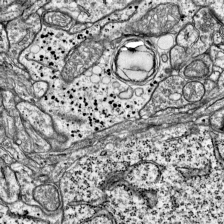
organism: Mouse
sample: Visual Cortex